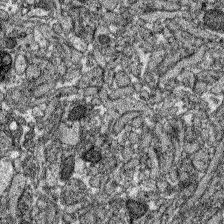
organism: Zebrafish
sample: Larval olfactory bulb